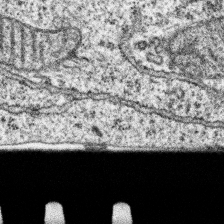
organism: Human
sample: HeLa cells